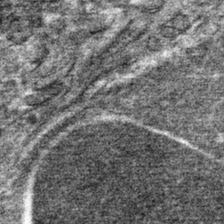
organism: Mouse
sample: Mouse hepatocytes